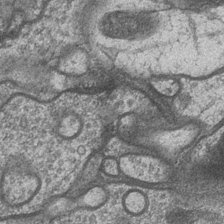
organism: Drosophila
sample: Optic medulla